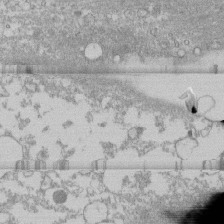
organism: Human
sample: CRL-1474